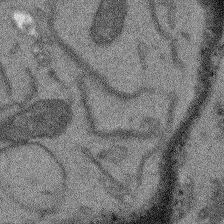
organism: Arabidopsis thaliana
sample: Root tip